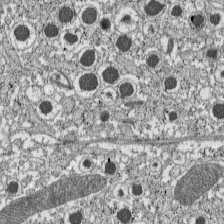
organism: C57BL Mouse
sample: Pancreatic islet